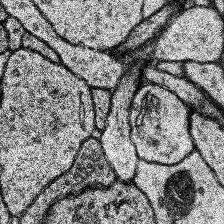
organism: Human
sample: Temporal Lobe